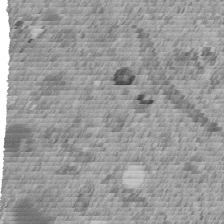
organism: C. elegans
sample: C. elegans embryo early stage